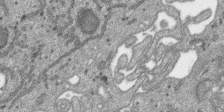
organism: Human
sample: Lung epithelial cells infected with SARS-CoV-2